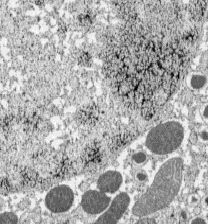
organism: C57BL Mouse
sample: Pancreatic islet